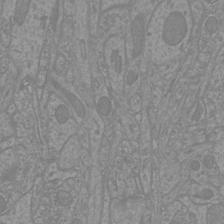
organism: Mouse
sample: Cortical neurons